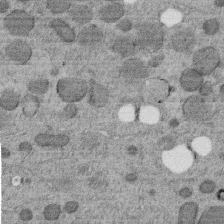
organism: C. elegans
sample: C. elegans embryo early stage